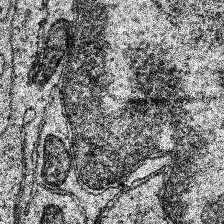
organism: Human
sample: Temporal Lobe